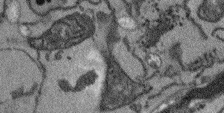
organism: Arabidopsis thaliana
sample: Root tip